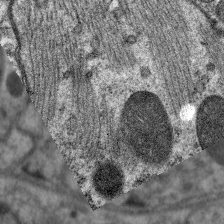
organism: C. elegans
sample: Pharynx